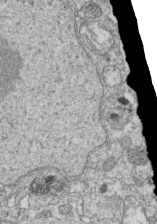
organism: Human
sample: HeLa cell HIV synapse